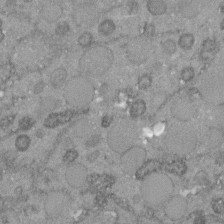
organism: C. elegans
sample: C. elegans embryo early stage